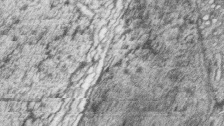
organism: Zebrafish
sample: synaptic ribbons in rod cells and cone cells